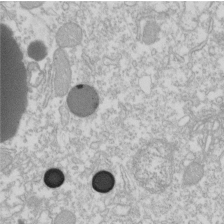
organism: Xenopus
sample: Cilia; centrioles in frog embryo cells